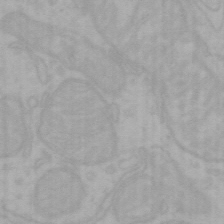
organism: Mouse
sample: Choroid plexus